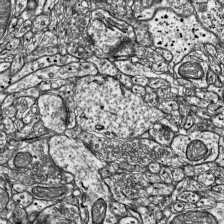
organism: Mouse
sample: Visual Cortex